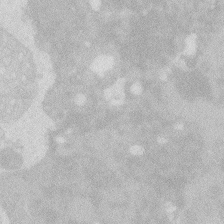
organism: Zebrafish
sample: Macrophage